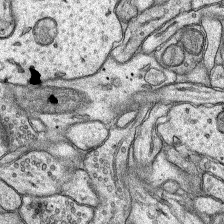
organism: Rat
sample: Hippocampus